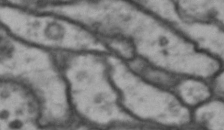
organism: Drosophila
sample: Brain